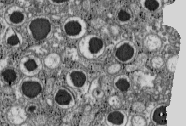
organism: C57BL Mouse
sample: Pancreatic islet